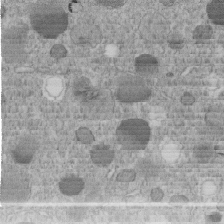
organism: C. elegans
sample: C. elegans embryo early stage